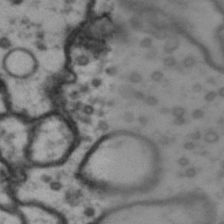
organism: Drosophila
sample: Brain